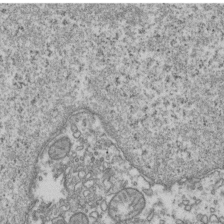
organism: Human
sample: Activated Jurkat CD4+ T cells